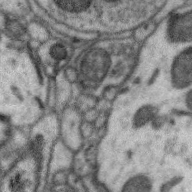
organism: Zebra finch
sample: Brain